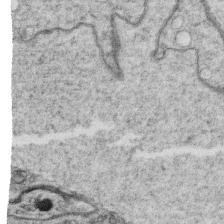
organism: C. elegans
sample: C. elegans oocyte; sperm cells